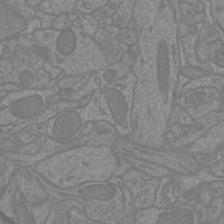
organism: Mouse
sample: Cortical neurons